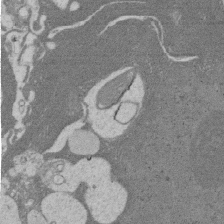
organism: Rat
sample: Salivary granule